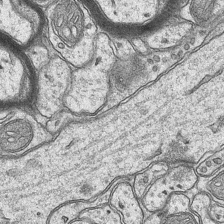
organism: Mouse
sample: CA1 Hippocampus